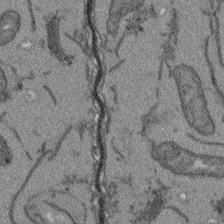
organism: Arabidopsis thaliana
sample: Root tip